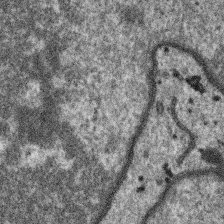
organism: Human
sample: Lung epithelial cells infected with SARS-CoV-2